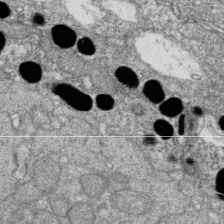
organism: Zebrafish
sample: Cilia; retinal pigment epithelium